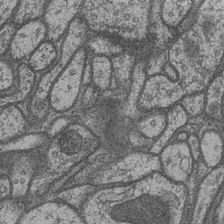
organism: Drosophila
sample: Optic medulla